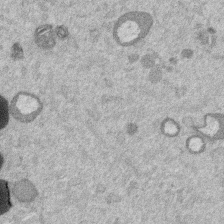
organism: Mouse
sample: Dividing mouse embryo 1 cell stage